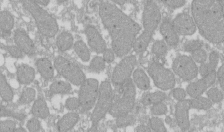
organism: Xenopus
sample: Cilia; centrioles in frog embryo cells